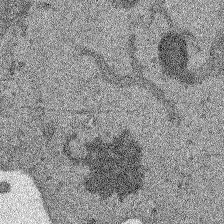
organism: Human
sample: HeLa cells